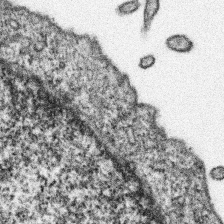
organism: Human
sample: HeLa cells